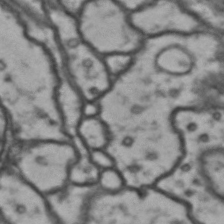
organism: Drosophila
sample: Brain